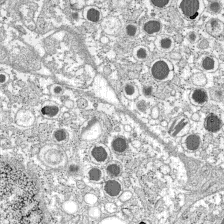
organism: C57BL Mouse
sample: Pancreatic islet